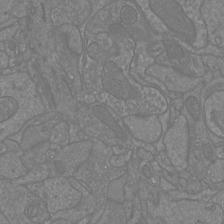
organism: Mouse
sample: Cortical neurons